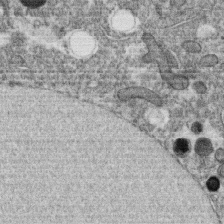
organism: C. elegans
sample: C. elegans oocyte; sperm cells